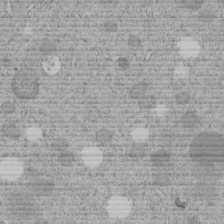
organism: C. elegans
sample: C. elegans embryo early stage